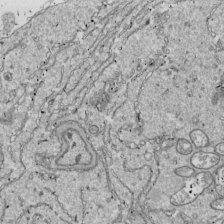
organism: Drosophila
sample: Cell division; meiosis; drosophila spermatocytes